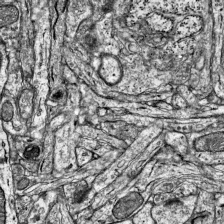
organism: Mouse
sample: Visual Cortex